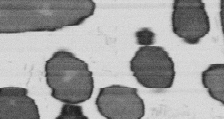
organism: B. subtilis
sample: Bacterial spore